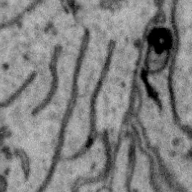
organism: Zebra finch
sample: Brain